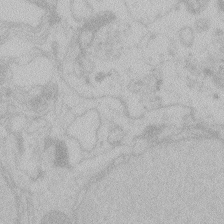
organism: Zebrafish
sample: Macrophage infected with Toxoplasma gondii